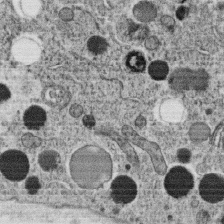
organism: C. elegans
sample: C. elegans oocyte; sperm cells